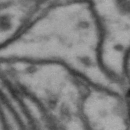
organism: Drosophila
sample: Brain